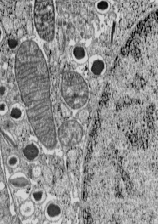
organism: C57BL Mouse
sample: Pancreatic islet